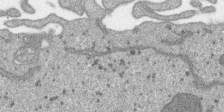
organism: Human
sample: Lung epithelial cells infected with SARS-CoV-2